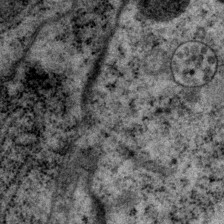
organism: P. pacificus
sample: Pharynx